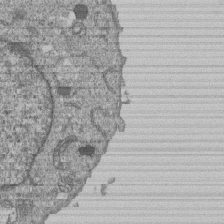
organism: Human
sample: MDA-MB-231 cells